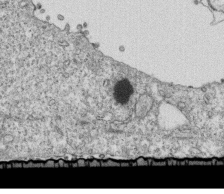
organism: Human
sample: HeLa cell HIV synapse